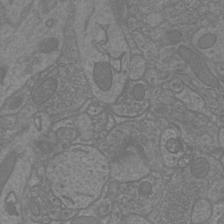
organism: Mouse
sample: Cortical neurons